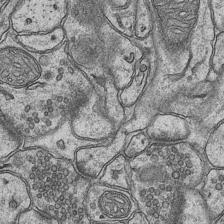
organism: Mouse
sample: CA1 Hippocampus